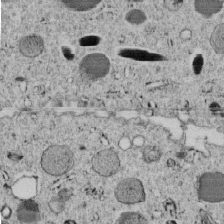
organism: C. elegans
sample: C. elegans embryo early stage